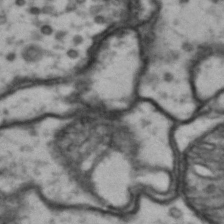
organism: Drosophila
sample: Brain